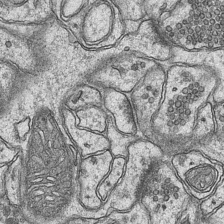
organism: Mouse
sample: CA1 Hippocampus